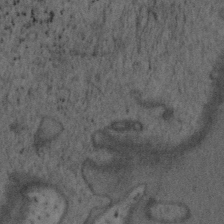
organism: Human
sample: HeLa cells